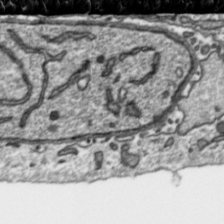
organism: Toxoplasma gondii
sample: Parasites in a vacuole inside a host cell